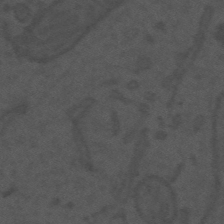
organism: Mouse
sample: Suprachiasmatic nucleus